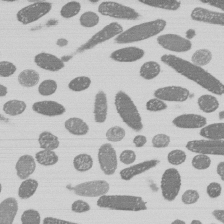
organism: E. coli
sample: Bacterial nucleoid